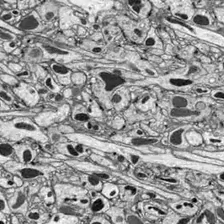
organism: Drosophila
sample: Optic lobe